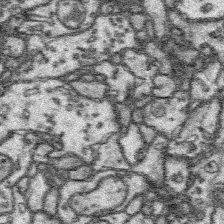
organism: Platynereis dumerilii